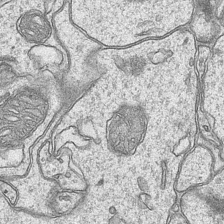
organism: Mouse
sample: CA1 Hippocampus